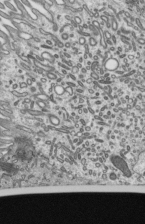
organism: Mouse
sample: Mouse epididymis efferent ductule cilia